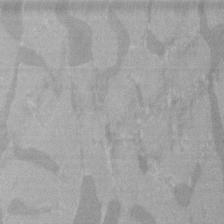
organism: C57BL Mouse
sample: Tibialis anterior muscle cell